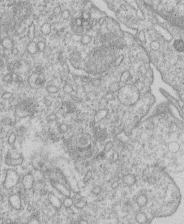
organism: Human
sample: Macrophage cells